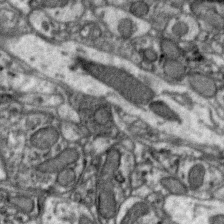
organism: Zebra finch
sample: Brain